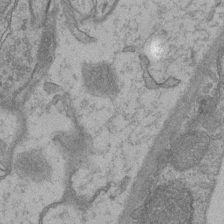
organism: Mouse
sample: CA1 Hippocampus